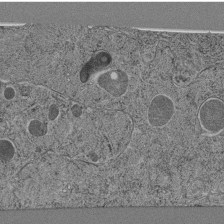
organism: C. elegans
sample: C. elegans pharynx